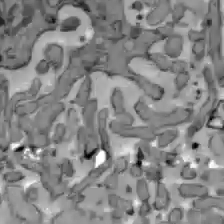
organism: C57BL Mouse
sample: Liver